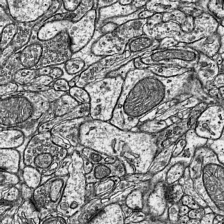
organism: Mouse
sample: Visual Cortex